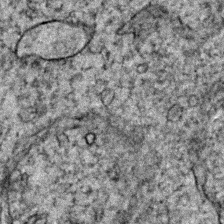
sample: Trachea